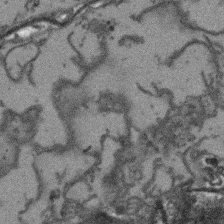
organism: Arabidopsis thaliana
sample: Root tip